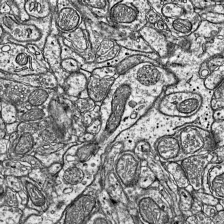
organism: Mouse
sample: Visual Cortex